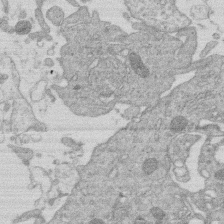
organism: Human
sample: Macrophage cells